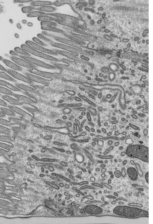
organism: Mouse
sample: Mouse epididymis efferent ductule cilia